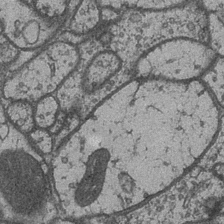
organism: Drosophila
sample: Optic medulla